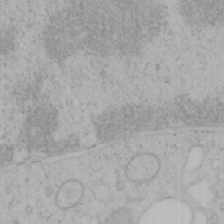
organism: Mouse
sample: OT-I killer T cells with ID8 ovarian cancer cells